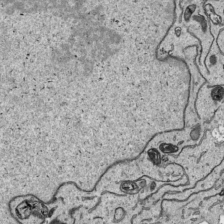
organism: Human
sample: Mitochondria in HCT116 cells